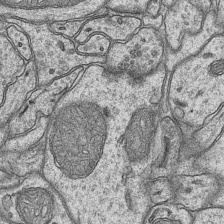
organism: Mouse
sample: CA1 Hippocampus